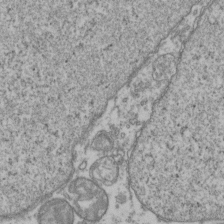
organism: Human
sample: Activated Jurkat CD4+ T cells